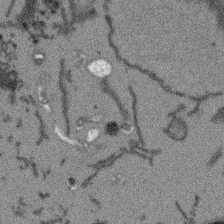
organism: Arabidopsis thaliana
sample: Root tip